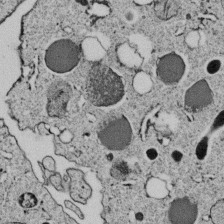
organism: C. elegans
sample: C. elegans embryo early stage